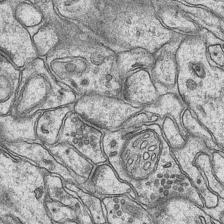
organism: Mouse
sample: CA1 Hippocampus